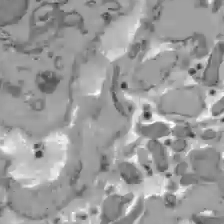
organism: C57BL Mouse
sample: Liver